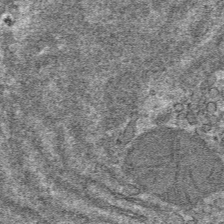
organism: Mouse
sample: Mouse hepatocytes